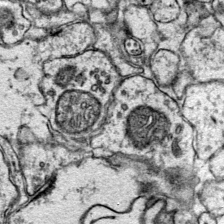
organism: Mouse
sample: Primary visual cortex